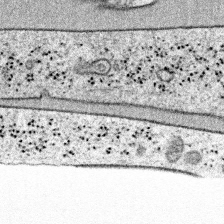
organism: Human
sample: HeLa cells